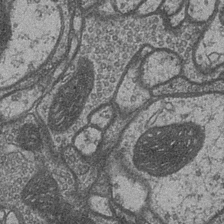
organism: Drosophila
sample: Optic medulla